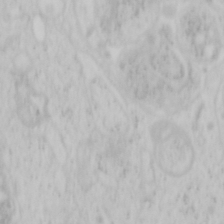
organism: Mouse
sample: OT-I killer T cells with ID8 ovarian cancer cells